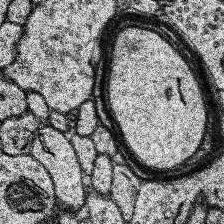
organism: Human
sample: Temporal Lobe